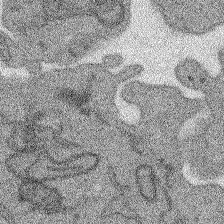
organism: Human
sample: HeLa cells